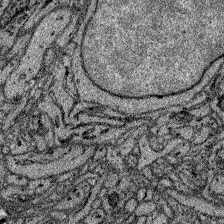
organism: Zebrafish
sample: Larval olfactory bulb